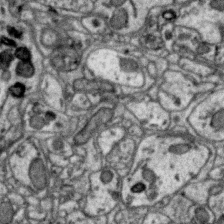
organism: Zebra finch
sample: Brain